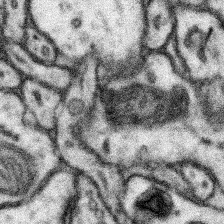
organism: Mouse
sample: Somatosensory cortex neuropil